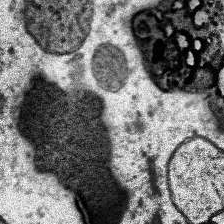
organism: Human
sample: Temporal Lobe